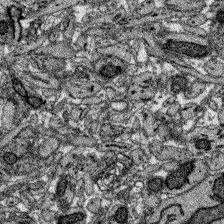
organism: Zebrafish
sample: Larval olfactory bulb